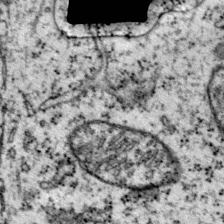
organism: Mouse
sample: Primary visual cortex